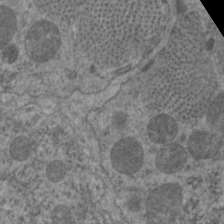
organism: C. elegans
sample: Pharynx